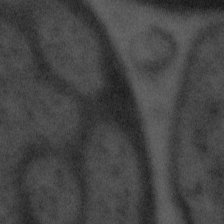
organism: Tuwongella immobilis